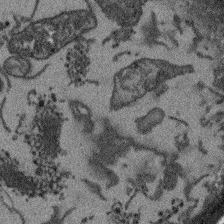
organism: Arabidopsis thaliana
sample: Root tip